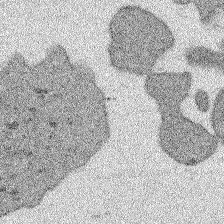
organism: Human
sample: HeLa cells